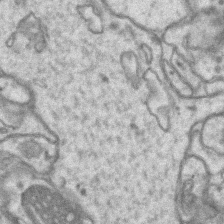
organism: Mouse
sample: CA1 Hippocampus